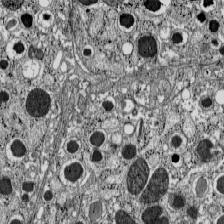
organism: C57BL Mouse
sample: Pancreatic islet